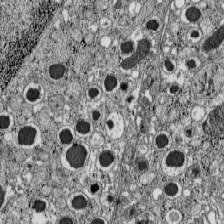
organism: C57BL Mouse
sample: Pancreatic islet